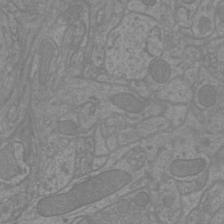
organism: Mouse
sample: Cortical neurons